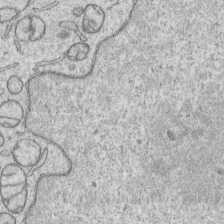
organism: Human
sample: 1205lu cells